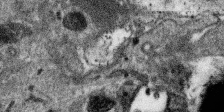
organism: Human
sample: Lung epithelial cells infected with SARS-CoV-2